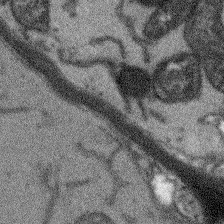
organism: Arabidopsis thaliana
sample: Root tip